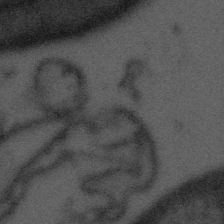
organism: Tuwongella immobilis